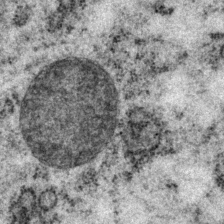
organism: P. pacificus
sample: Pharynx